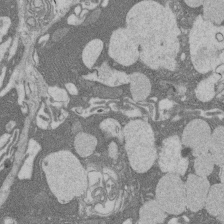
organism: Rat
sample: Salivary granule